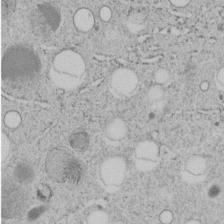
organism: C. elegans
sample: C. elegans embryo early stage